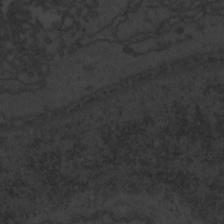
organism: Zebrafish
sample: Macrophage infected with Toxoplasma gondii